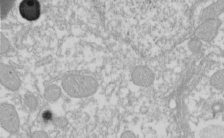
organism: Xenopus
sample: Cilia; centrioles in frog embryo cells